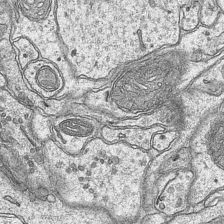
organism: Mouse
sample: CA1 Hippocampus